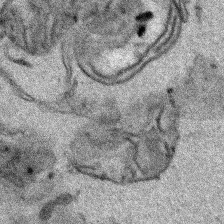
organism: Human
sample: Mitochondria in HCT116 cells